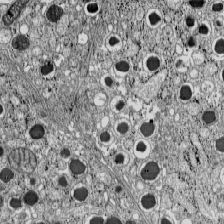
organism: C57BL Mouse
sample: Pancreatic islet